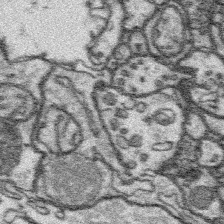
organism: Platynereis dumerilii